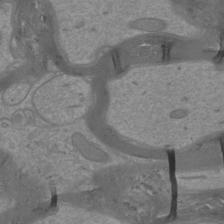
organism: Mouse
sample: Cortical neurons